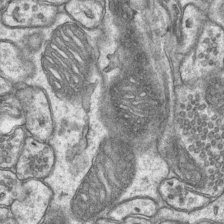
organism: Mouse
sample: CA1 Hippocampus